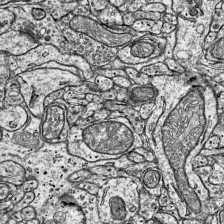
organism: Mouse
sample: Visual Cortex